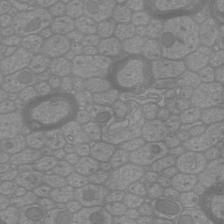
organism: Mouse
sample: Cortical neurons